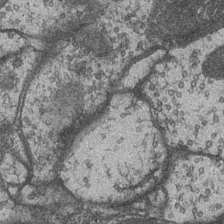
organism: Drosophila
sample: Optic medulla